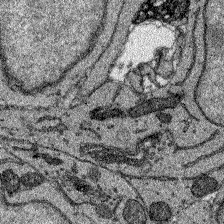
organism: Zebrafish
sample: Larval olfactory bulb